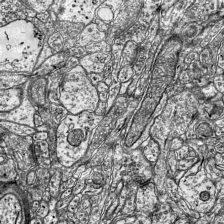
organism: Mouse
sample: Visual Cortex